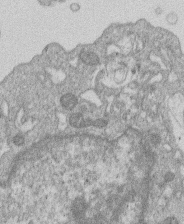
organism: Human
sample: Macrophage cells